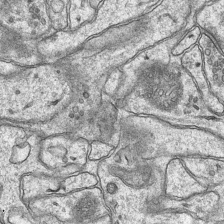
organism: Mouse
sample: CA1 Hippocampus